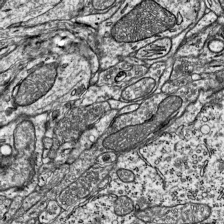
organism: Mouse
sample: Visual Cortex